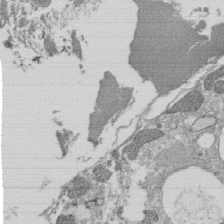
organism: Tetrahymena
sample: Cilia in tetrahymena